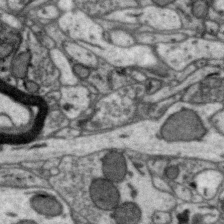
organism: Zebra finch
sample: Brain